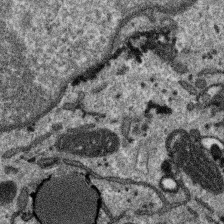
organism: Human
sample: Lung epithelial cells infected with SARS-CoV-2